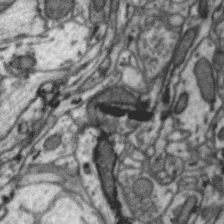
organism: Zebra finch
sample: Brain